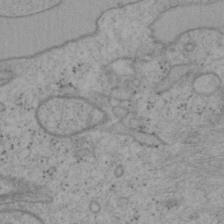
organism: Human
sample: HeLa cells